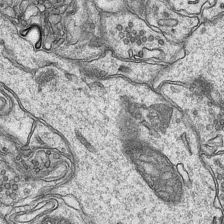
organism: Mouse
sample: CA1 Hippocampus